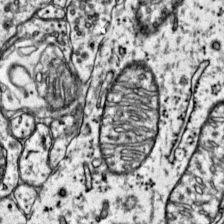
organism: Mouse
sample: Primary visual cortex